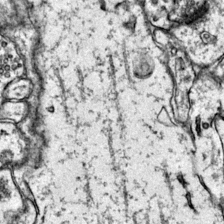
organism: Mouse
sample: Primary visual cortex